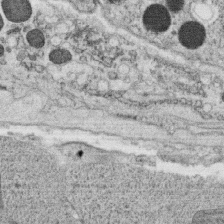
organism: C. elegans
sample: C. elegans oocyte; sperm cells